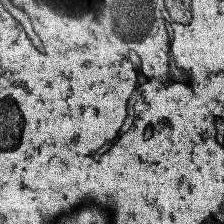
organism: Human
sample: Temporal Lobe